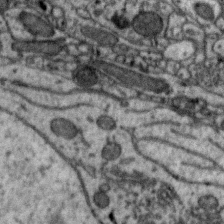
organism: Zebra finch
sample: Brain